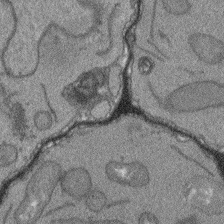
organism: Arabidopsis thaliana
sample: Root tip